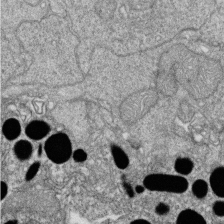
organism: Zebrafish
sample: Cilia; retinal pigment epithelium